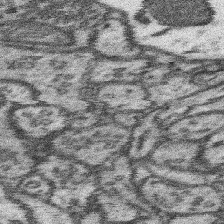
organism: Mouse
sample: Somatosensory cortex neuropil